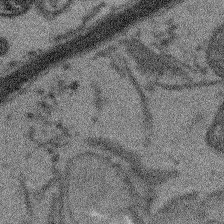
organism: Arabidopsis thaliana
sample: Root tip